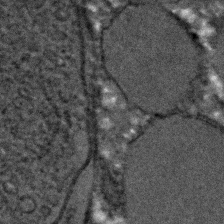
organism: C. elegans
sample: C. elegans embryo